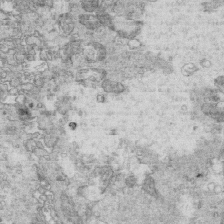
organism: Mouse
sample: Multiciliated cells